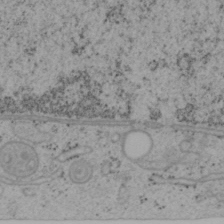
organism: Human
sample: HeLa cells